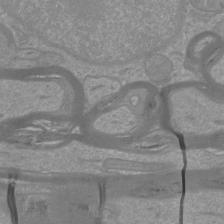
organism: Mouse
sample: Cortical neurons